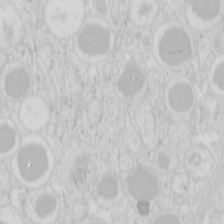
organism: Mouse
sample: Pancreas